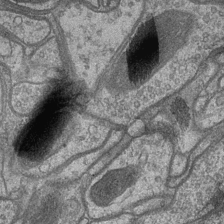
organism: Drosophila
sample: Optic medulla